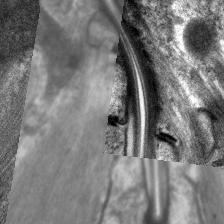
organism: C. elegans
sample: Pharynx